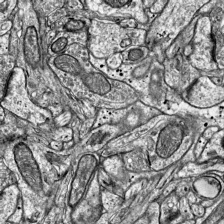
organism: Mouse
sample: Visual Cortex